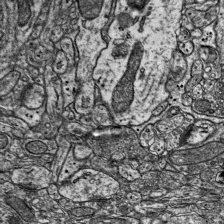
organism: Mouse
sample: Visual Cortex